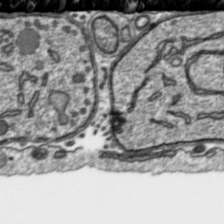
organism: Toxoplasma gondii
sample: Parasites in a vacuole inside a host cell